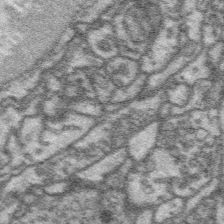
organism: Platynereis dumerilii